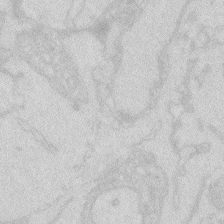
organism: Zebrafish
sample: Macrophage